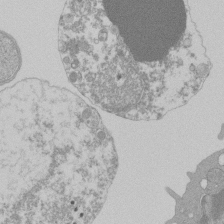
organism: Mouse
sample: Activated Pmel transgenic CD8+ T Cells